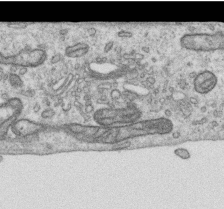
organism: Human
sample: Centriole in RPE cells